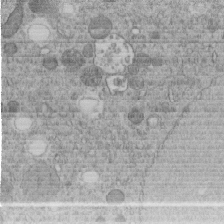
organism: C. elegans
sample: C. elegans embryo early stage